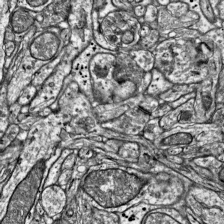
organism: Mouse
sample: Visual Cortex